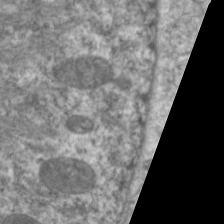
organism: C. elegans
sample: Pharynx